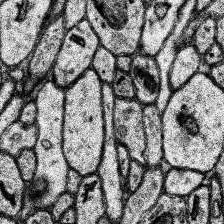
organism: Human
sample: Temporal Lobe